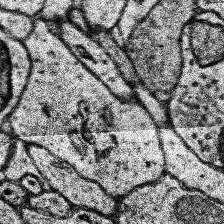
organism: Human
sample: Temporal Lobe